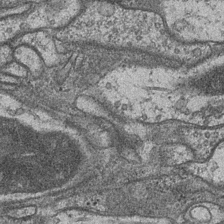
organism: Drosophila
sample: Optic medulla